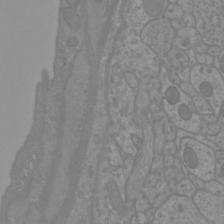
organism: Mouse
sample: Cortical neurons